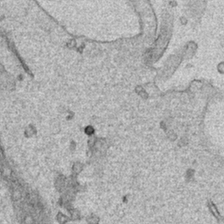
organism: Human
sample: Mitochondria in HCT116 cells